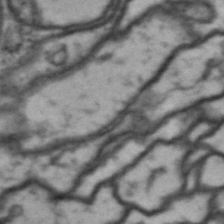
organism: Drosophila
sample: Brain